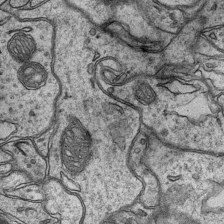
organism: Mouse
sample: CA1 Hippocampus